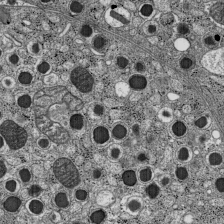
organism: C57BL Mouse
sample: Pancreatic islet